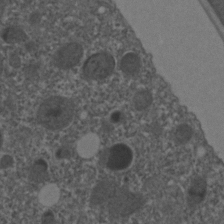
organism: C. elegans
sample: C. elegans embryo